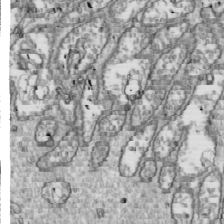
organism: Drosophila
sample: Cell division; meiosis; drosophila spermatocytes